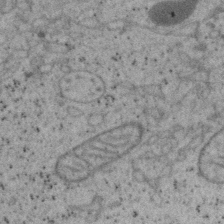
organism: Human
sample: HeLa cells